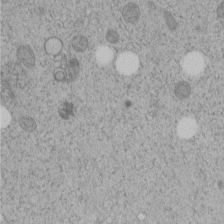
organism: C. elegans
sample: C. elegans embryo early stage